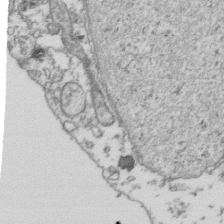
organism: Human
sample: Activated Jurkat CD4+ T cells